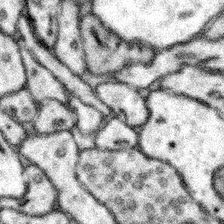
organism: Mouse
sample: Somatosensory cortex neuropil